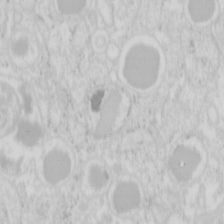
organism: Mouse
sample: Pancreas